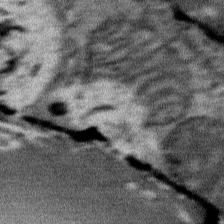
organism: Mouse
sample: Mouse Salivary gland